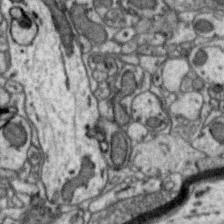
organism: Zebra finch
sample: Brain